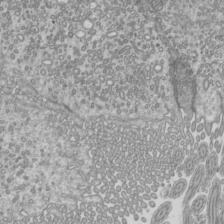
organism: Mouse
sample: Cilia; mouse epididymis